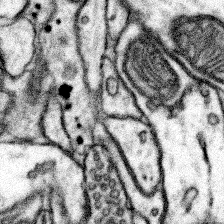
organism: Mouse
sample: Somatosensory cortex neuropil